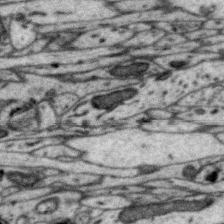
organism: Zebra finch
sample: Brain